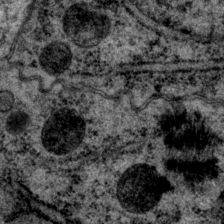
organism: P. pacificus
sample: Pharynx